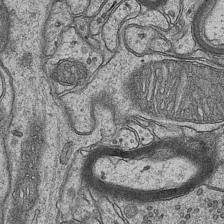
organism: Mouse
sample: CA1 Hippocampus